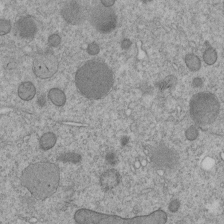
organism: C. elegans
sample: C. elegans embryo early stage